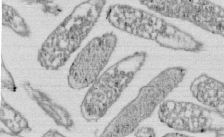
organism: E. coli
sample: Bacterial nucleoid